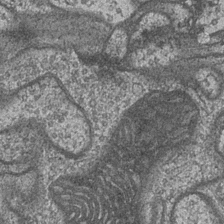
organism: Drosophila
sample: Optic medulla